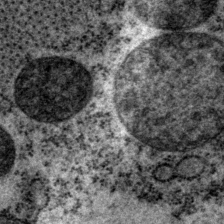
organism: P. pacificus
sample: Pharynx